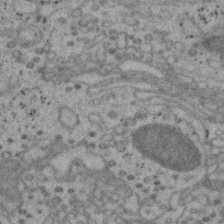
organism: Human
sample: HeLa cells